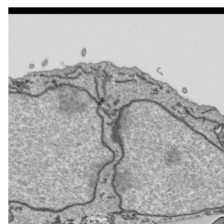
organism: Human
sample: Mitochondria in HCT116 cells